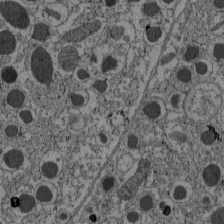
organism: C57BL Mouse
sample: Pancreatic islet